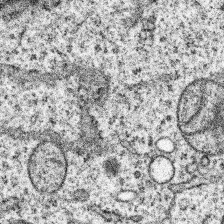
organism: Human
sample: HeLa cells